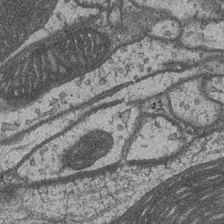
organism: Drosophila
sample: Optic medulla